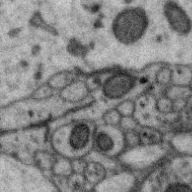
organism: Zebra finch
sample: Brain